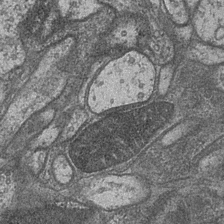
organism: Drosophila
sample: Optic medulla